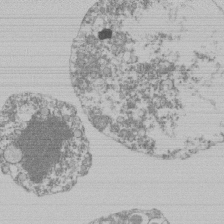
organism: Mouse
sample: Activated Pmel transgenic CD8+ T Cells